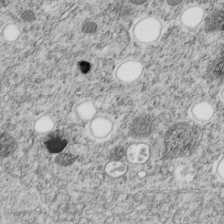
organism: C. elegans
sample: C. elegans embryo early stage